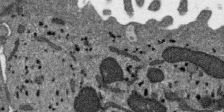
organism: Human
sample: Lung epithelial cells, uninfected (mock) control